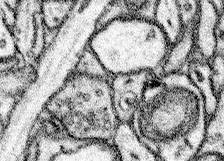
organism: Mouse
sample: Somatosensory cortex neuropil